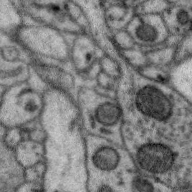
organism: Zebra finch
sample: Brain